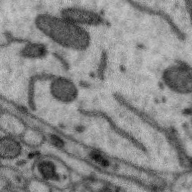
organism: Zebra finch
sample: Brain